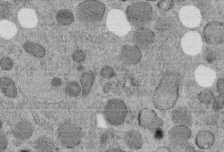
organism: C. elegans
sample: C. elegans embryo early stage